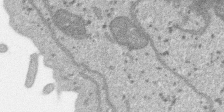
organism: Human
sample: Lung epithelial cells infected with SARS-CoV-2